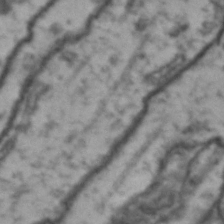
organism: Drosophila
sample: Brain